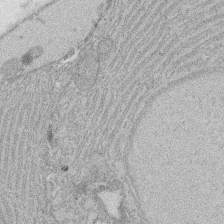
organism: Rat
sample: Salivary granule